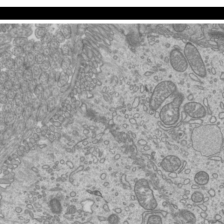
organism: Mouse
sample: Cilia; mouse epididymis